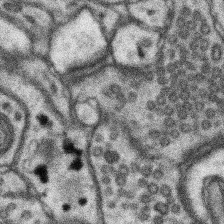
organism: Mouse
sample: Somatosensory cortex neuropil